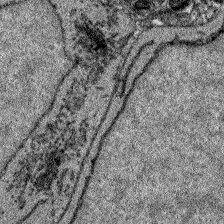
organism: Zebrafish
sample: Larval olfactory bulb